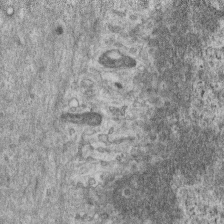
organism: Mouse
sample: Centriole in ependymal cells